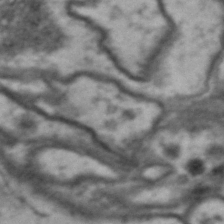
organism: Drosophila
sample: Brain